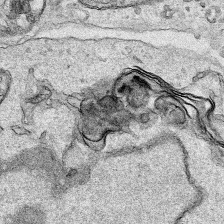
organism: Human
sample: Mitochondria in HCT116 cells